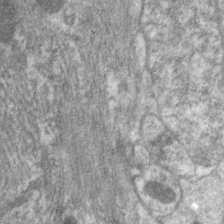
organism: C. elegans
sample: Pharynx